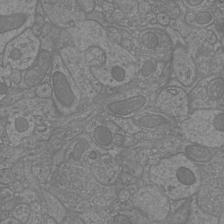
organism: Mouse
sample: Cortical neurons